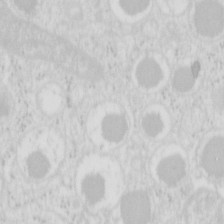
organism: Mouse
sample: Pancreas